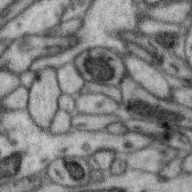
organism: Zebra finch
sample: Brain